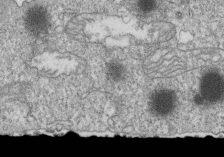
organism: Human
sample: HeLa cell HIV synapse